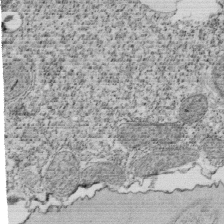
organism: Tetrahymena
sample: Cilia in tetrahymena